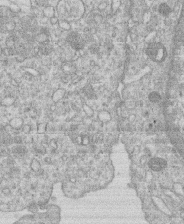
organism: Human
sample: Macrophage cells